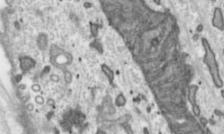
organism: Toxoplasma gondii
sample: Parasites in a vacuole inside a host cell